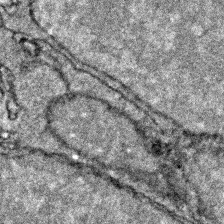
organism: Zebrafish